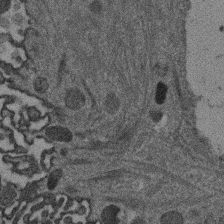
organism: Mouse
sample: Dividing mouse embryo 1 cell stage